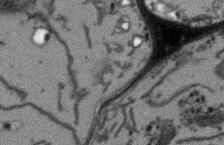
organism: Arabidopsis thaliana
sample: Root tip